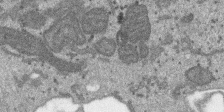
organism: Human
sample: Lung epithelial cells infected with SARS-CoV-2